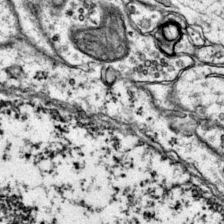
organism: Mouse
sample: Primary visual cortex